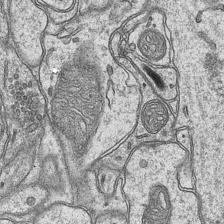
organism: Mouse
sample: CA1 Hippocampus